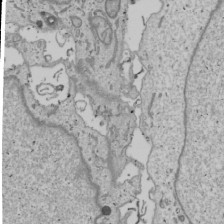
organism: Human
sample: Mitochondria in U2OS cells